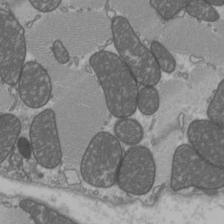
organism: C57BL Mouse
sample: Heart